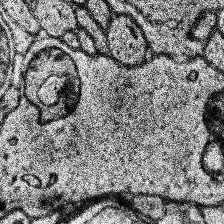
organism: Human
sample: Temporal Lobe